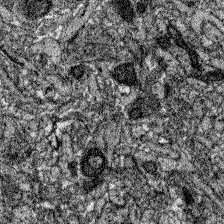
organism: Zebrafish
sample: Larval olfactory bulb